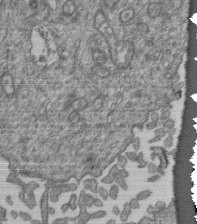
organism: Human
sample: Retinal organoid Rod and Cone cells